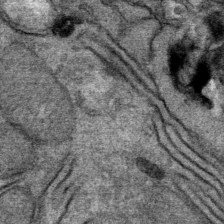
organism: Mouse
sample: Mouse Salivary gland